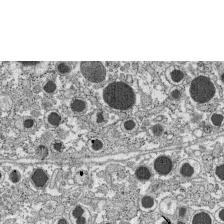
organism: C57BL Mouse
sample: Pancreatic islet